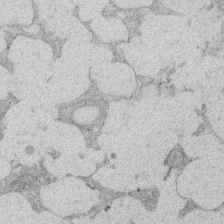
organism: Rat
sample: Salivary granule